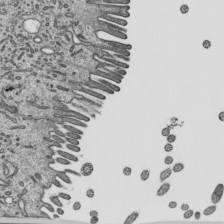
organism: Mouse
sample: Mouse epididymis efferent ductule cilia